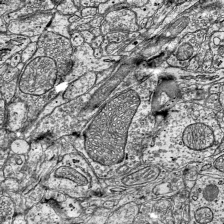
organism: Mouse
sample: Visual Cortex